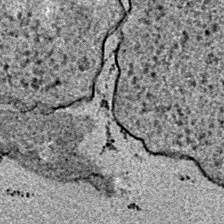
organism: E. coli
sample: E. Coli Bacteria